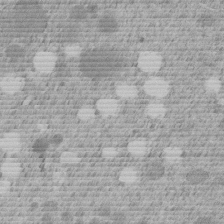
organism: C. elegans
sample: C. elegans embryo early stage